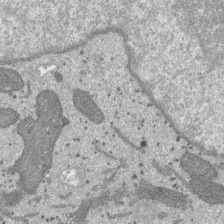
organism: Human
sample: Lung epithelial cells infected with SARS-CoV-2